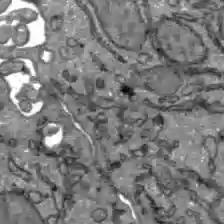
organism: C57BL Mouse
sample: Liver